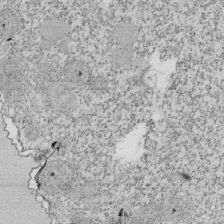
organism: Tetrahymena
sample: Cilia in tetrahymena